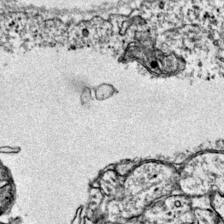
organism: Mouse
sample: Primary visual cortex